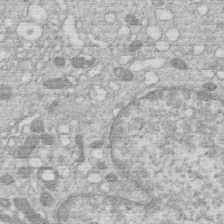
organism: Human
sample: Macrophage cells